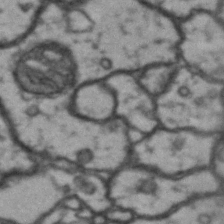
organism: Drosophila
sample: Brain